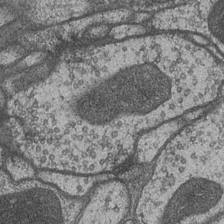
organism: Drosophila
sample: Optic medulla